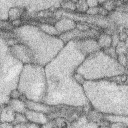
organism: Rabbit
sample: Retina